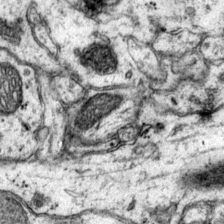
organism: Mouse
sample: Primary visual cortex